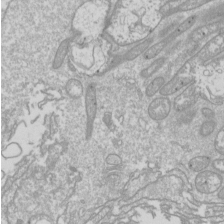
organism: Drosophila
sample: Cell division; meiosis; drosophila spermatocytes